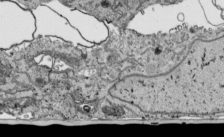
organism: Human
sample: Mitochondria in HCT116 cells